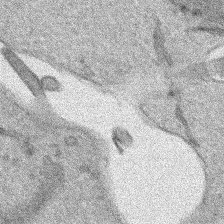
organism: Human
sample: Mitochondria in HCT116 cells